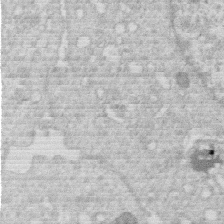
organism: Human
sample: Macrophage cells